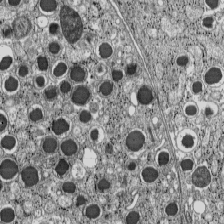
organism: C57BL Mouse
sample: Pancreatic islet